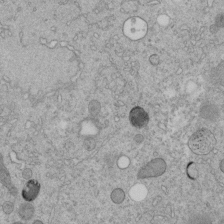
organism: C. elegans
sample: C. elegans embryo early stage